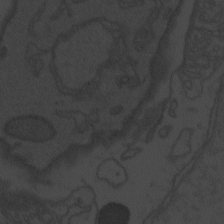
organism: Zebrafish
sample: Macrophage infected with Toxoplasma gondii